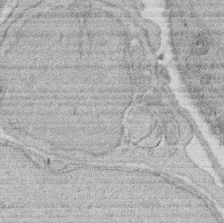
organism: Rat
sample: Salivary granule